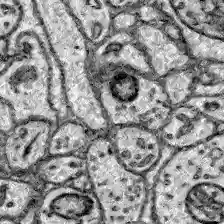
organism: Zebrafish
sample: Brain